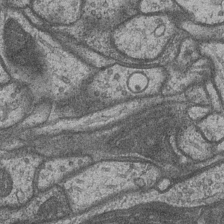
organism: Drosophila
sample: Optic medulla